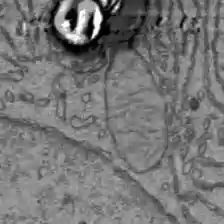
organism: C57BL Mouse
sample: Liver